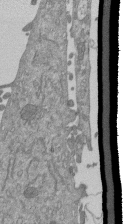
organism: Mouse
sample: ED-1 cell nuclei; centrioles